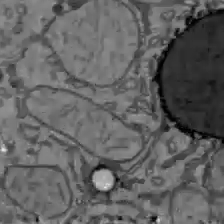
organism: C57BL Mouse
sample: Liver